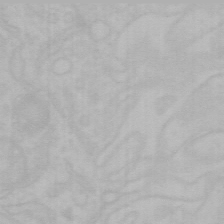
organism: Mouse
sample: Choroid plexus